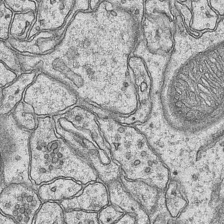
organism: Mouse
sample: CA1 Hippocampus